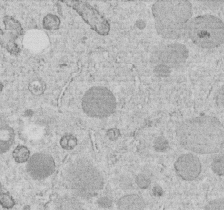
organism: C. elegans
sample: C. elegans embryo early stage